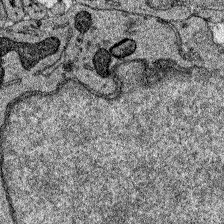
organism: Zebrafish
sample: Larval olfactory bulb